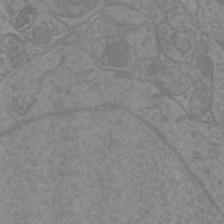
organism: Mouse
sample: Cortical neurons